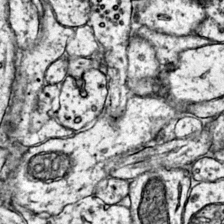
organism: Mouse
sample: Primary visual cortex